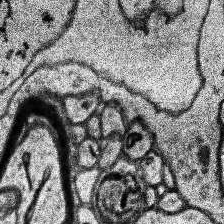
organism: Human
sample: Temporal Lobe